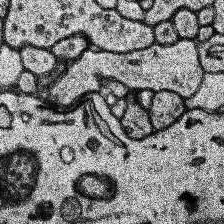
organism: Human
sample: Temporal Lobe